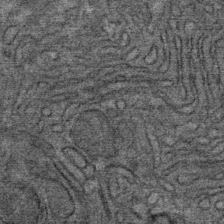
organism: Mouse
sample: Mouse Salivary gland